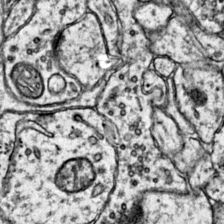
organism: Mouse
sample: Primary visual cortex